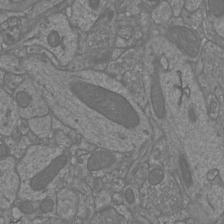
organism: Mouse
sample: Cortical neurons